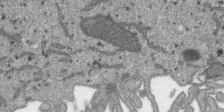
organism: Human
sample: Lung epithelial cells infected with SARS-CoV-2